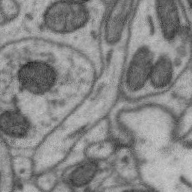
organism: Zebra finch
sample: Brain